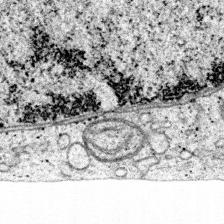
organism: Human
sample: HeLa cells